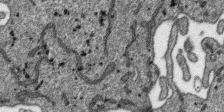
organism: Human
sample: Lung epithelial cells infected with SARS-CoV-2